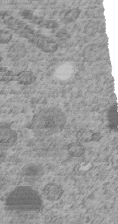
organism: C. elegans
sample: C. elegans embryo early stage